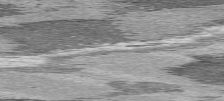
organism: C57BL Mouse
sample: Heart